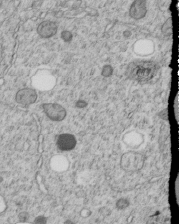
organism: C. elegans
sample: C. elegans embryo early stage